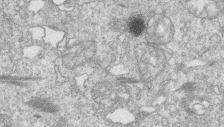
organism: Human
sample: HeLa cell HIV synapse